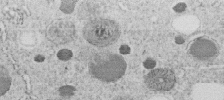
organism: C. elegans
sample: C. elegans embryo early stage